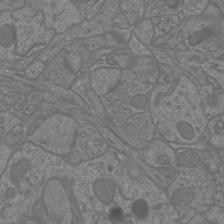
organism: Mouse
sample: Cortical neurons